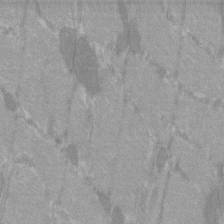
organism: C57BL Mouse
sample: Tibialis anterior muscle cell